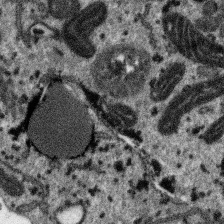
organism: Human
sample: Lung epithelial cells infected with SARS-CoV-2